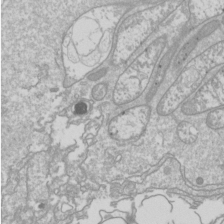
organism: Drosophila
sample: Cell division; meiosis; drosophila spermatocytes